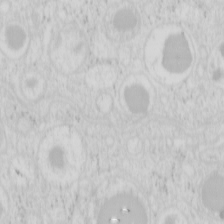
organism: Mouse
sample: Pancreas